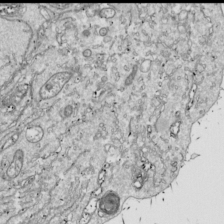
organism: Drosophila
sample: Cell division; meiosis; drosophila spermatocytes